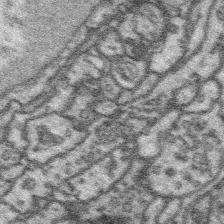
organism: Platynereis dumerilii